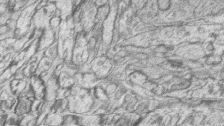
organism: Zebrafish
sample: synaptic ribbons in rod cells and cone cells